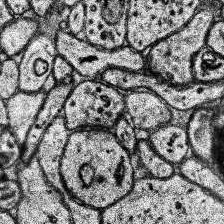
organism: Human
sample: Temporal Lobe